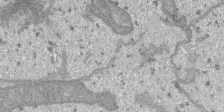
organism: Human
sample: Lung epithelial cells infected with SARS-CoV-2